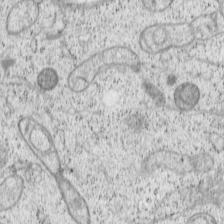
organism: African green monkey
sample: COS-7 cells